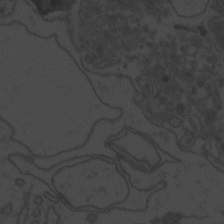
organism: Zebrafish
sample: Macrophage infected with Toxoplasma gondii